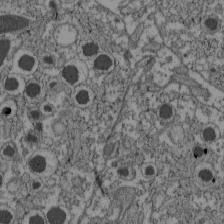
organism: C57BL Mouse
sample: Pancreatic islet